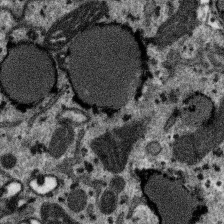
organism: Human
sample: Lung epithelial cells infected with SARS-CoV-2